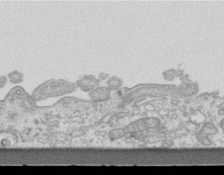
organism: Mouse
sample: Centriole in ependymal cells